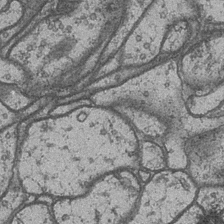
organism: Drosophila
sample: Optic medulla